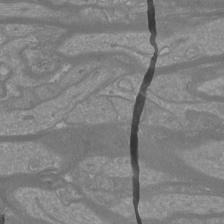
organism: Mouse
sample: Cortical neurons